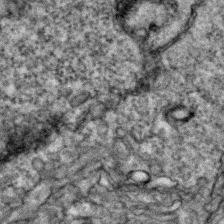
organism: Zebrafish